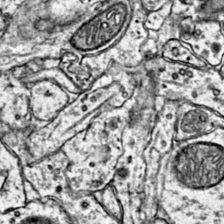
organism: Mouse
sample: Primary visual cortex